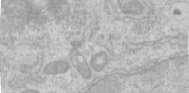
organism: Human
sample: Centriole in RPE cells